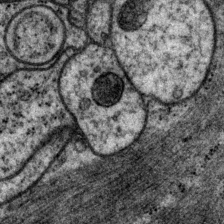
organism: P. pacificus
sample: Pharynx